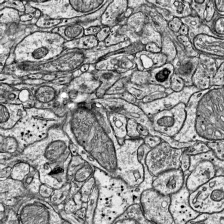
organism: Mouse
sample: Visual Cortex